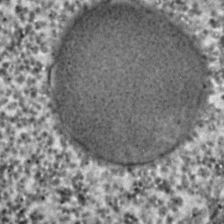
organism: C. elegans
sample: C. elegans embryo